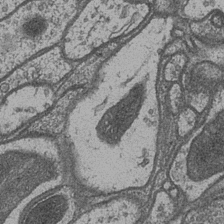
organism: Drosophila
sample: Optic medulla